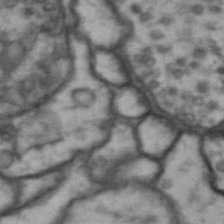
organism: Drosophila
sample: Brain